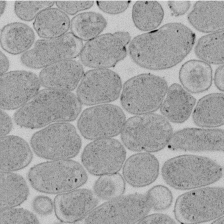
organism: E. coli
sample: Bacterial nucleoid